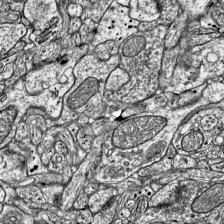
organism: Mouse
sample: Visual Cortex